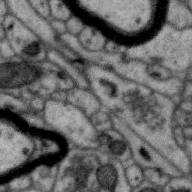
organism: Zebra finch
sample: Brain